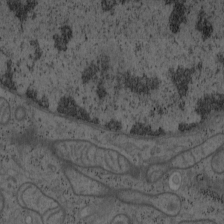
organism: Mouse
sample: OT-I killer T cells with ID8 ovarian cancer cells